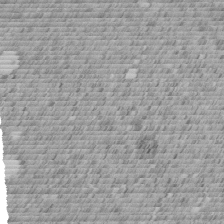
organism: C. elegans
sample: C. elegans embryo early stage